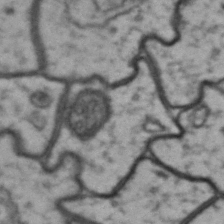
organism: Drosophila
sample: Brain